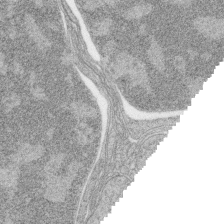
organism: Zebrafish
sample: synaptic ribbons in rod cells and cone cells